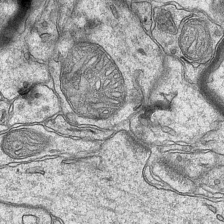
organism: Mouse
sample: CA1 Hippocampus